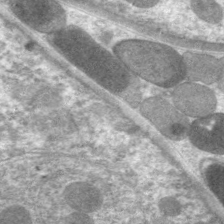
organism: C. elegans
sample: Pharynx